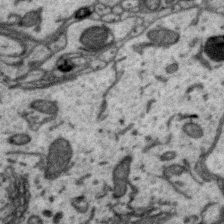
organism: Zebra finch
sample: Brain